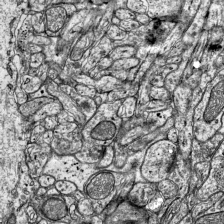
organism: Mouse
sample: Visual Cortex